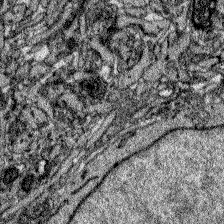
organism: Zebrafish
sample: Larval olfactory bulb